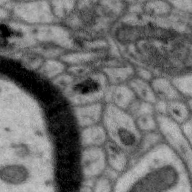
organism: Zebra finch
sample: Brain